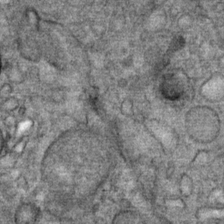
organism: Mouse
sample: Mouse Salivary gland